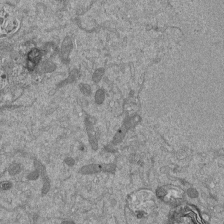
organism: Mouse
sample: ED-1 cell nuclei; centrioles